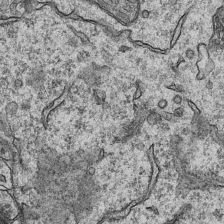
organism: Mouse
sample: CA1 Hippocampus